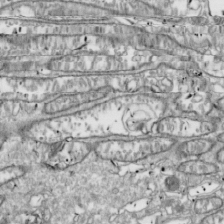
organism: Drosophila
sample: Cell division; meiosis; drosophila spermatocytes